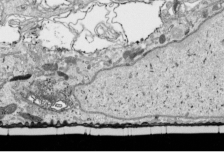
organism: Human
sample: Mitochondria in HCT116 cells